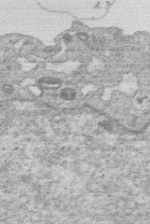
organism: Human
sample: Macrophage cells